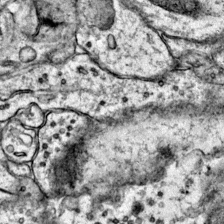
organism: Mouse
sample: Primary visual cortex